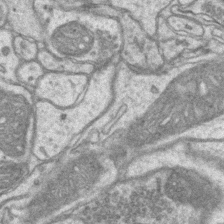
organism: Mouse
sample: CA1 Hippocampus